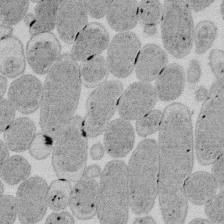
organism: E. coli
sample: Bacterial nucleoid